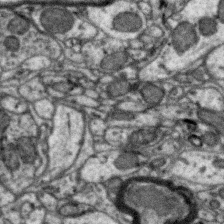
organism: Zebra finch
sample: Brain